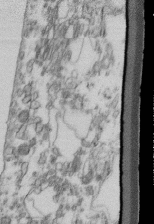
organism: Mouse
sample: Cilia; retinal pigment epithelium